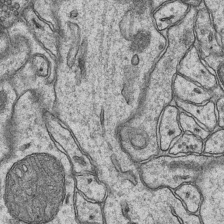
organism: Mouse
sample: CA1 Hippocampus